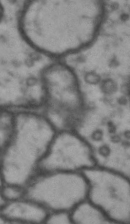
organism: Drosophila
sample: Brain